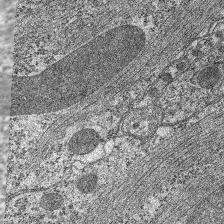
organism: C. elegans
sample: Pharynx